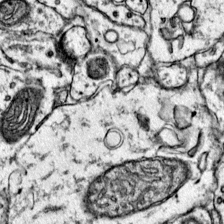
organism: Mouse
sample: Primary visual cortex